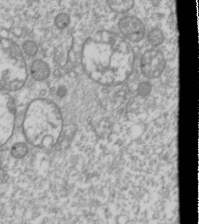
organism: Drosophila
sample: Cell division; meiosis; drosophila spermatocytes